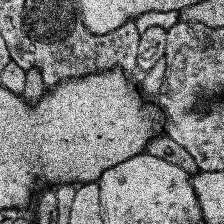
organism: Human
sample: Temporal Lobe